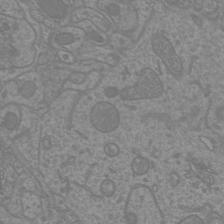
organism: Mouse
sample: Cortical neurons